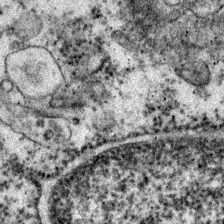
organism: Zebrafish